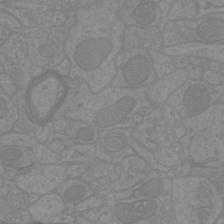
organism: Mouse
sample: Cortical neurons